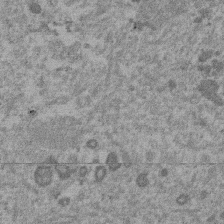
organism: Mouse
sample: Dividing mouse embryo 1 cell stage